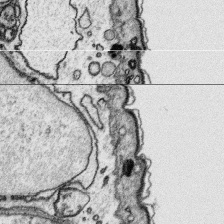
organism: Platynereis dumerilii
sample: Parapodia